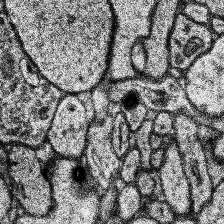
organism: Human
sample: Temporal Lobe